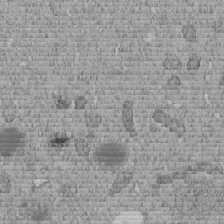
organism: C. elegans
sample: C. elegans embryo early stage